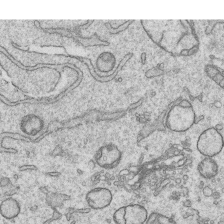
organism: Human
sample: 1205lu cells